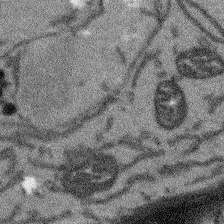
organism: Arabidopsis thaliana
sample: Root tip